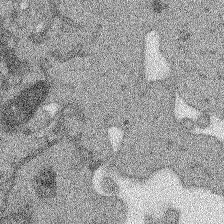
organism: Human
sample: HeLa cells